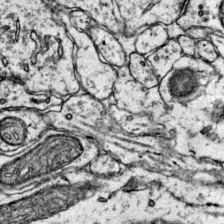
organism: Mouse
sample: Primary visual cortex